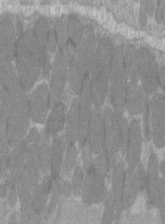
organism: C57BL Mouse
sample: Tibialis anterior muscle cell